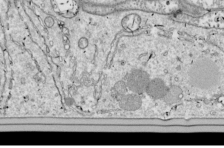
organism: Drosophila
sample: Cell division; meiosis; drosophila spermatocytes